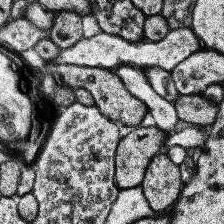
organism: Human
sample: Temporal Lobe